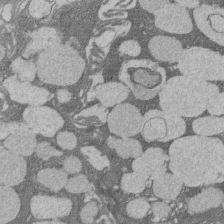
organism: Rat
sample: Salivary granule